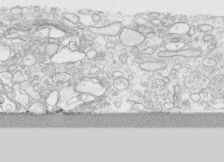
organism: Human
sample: CRL-1474